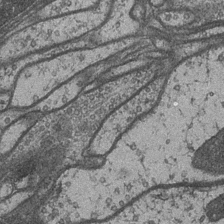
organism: Drosophila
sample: Optic medulla